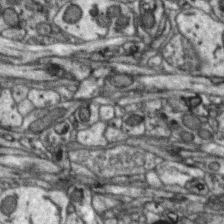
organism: Zebra finch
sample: Brain